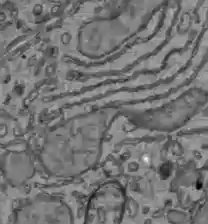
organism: C57BL Mouse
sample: Liver